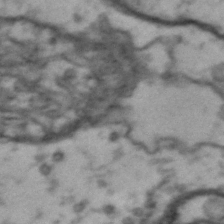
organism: Drosophila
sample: Brain